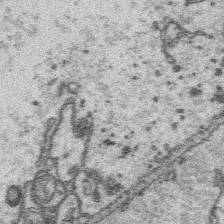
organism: Platynereis dumerilii